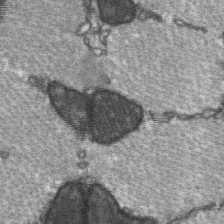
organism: C57BL Mouse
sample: Soleus